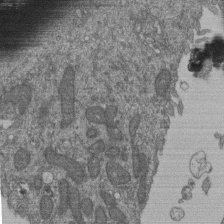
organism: Human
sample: Retinal organoid Rod and Cone cells